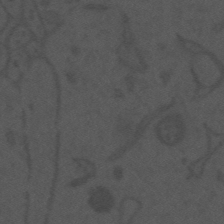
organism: Mouse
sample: Suprachiasmatic nucleus